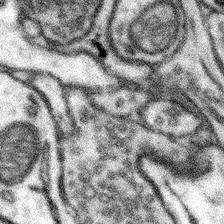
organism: Mouse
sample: Somatosensory cortex neuropil